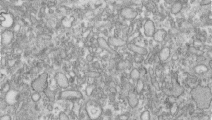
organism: Human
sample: Centriole in RPE cells